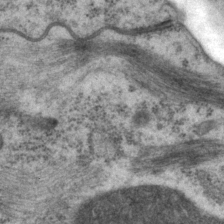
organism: P. pacificus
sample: Pharynx